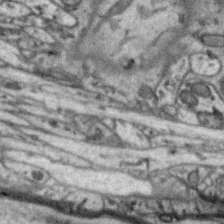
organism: Zebra finch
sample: Brain